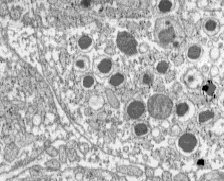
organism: C57BL Mouse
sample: Pancreatic islet